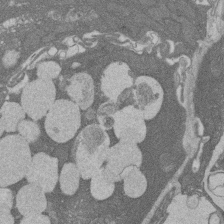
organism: Rat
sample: Salivary granule